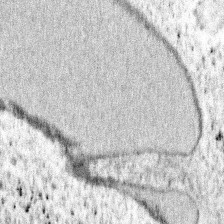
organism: Human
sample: HeLa cells